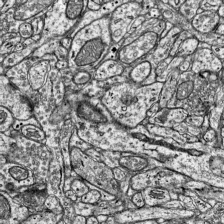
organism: Mouse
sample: Visual Cortex